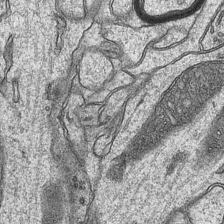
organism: Mouse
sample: CA1 Hippocampus